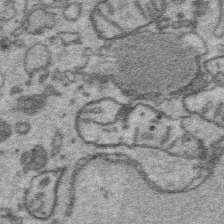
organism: Platynereis dumerilii